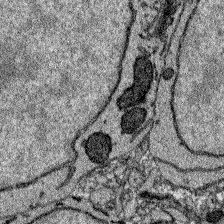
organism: Zebrafish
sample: Larval olfactory bulb